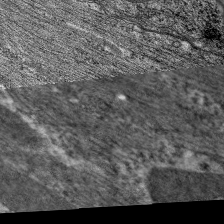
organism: C. elegans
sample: Pharynx